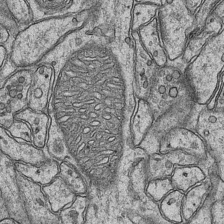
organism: Mouse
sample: CA1 Hippocampus